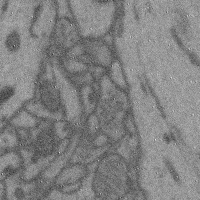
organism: Mouse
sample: Cerebral cortex